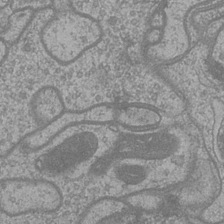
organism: Drosophila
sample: Optic medulla